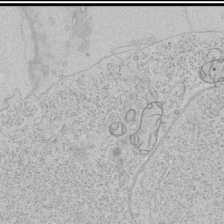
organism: Human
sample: Mitochondria in HCT116 cells